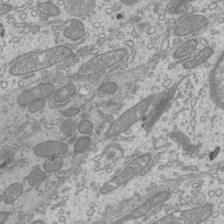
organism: Mouse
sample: Cilia; mouse epididymis